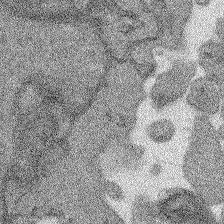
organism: Human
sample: HeLa cells